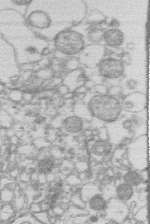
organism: Human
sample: Macrophage cells